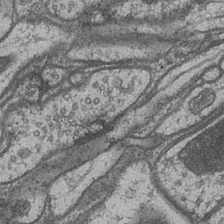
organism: Drosophila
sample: Optic medulla